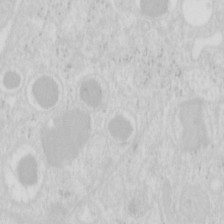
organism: Mouse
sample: Pancreas